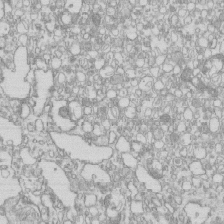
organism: Mouse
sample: Macrophages